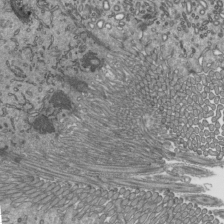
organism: Mouse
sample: Mouse epididymis efferent ductule cilia